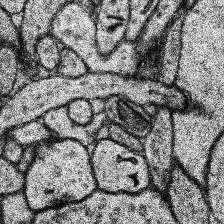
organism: Human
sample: Temporal Lobe